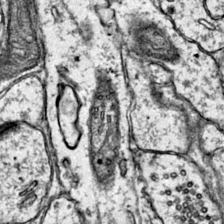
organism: Mouse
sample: Primary visual cortex